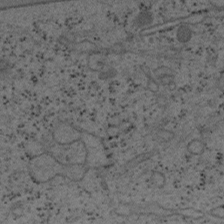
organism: Human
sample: HeLa cells